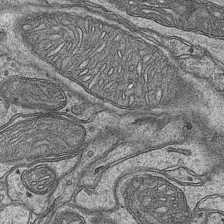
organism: Mouse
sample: CA1 Hippocampus